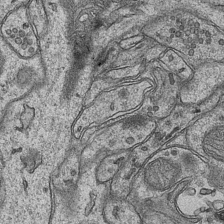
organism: Mouse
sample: CA1 Hippocampus